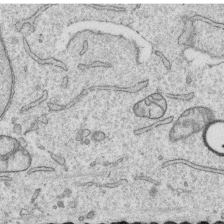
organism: Human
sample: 1205lu cells